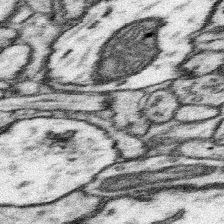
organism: Mouse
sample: Somatosensory cortex neuropil